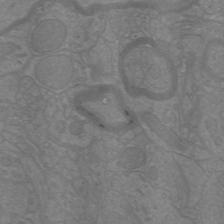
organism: Mouse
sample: Cortical neurons